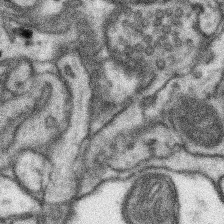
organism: Mouse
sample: Somatosensory cortex neuropil